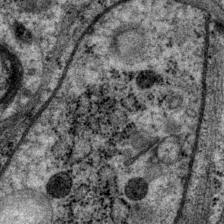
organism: P. pacificus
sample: Pharynx